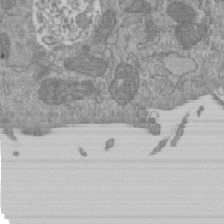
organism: Mouse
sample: ED-1 cell nuclei; centrioles